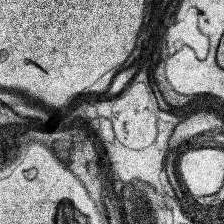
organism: Human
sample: Temporal Lobe